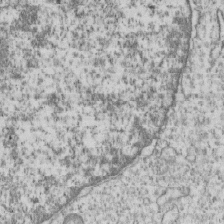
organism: Human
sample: MDA-MB-231 cells